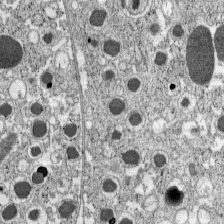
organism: C57BL Mouse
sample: Pancreatic islet